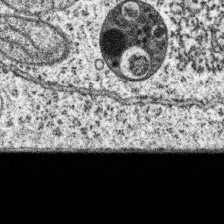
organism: Human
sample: HeLa cells